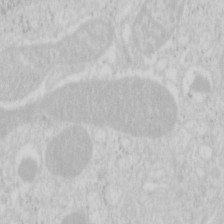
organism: Mouse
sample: Pancreas